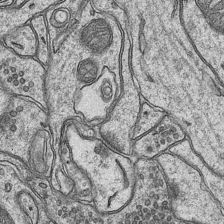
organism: Mouse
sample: CA1 Hippocampus